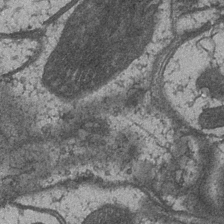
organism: Drosophila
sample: Optic medulla